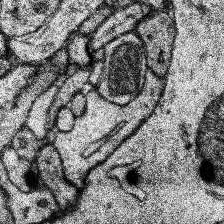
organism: Human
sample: Temporal Lobe